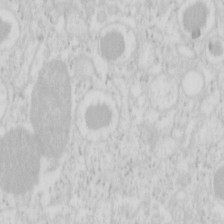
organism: Mouse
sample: Pancreas